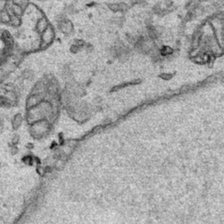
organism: Human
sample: Mitochondria in HCT116 cells